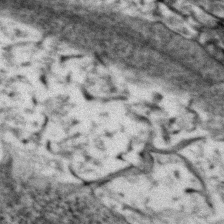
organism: Zebrafish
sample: Zebrafish embryo